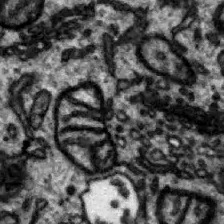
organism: Human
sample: HeLa cells